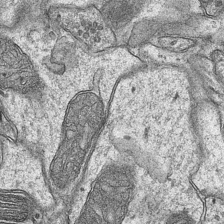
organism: Mouse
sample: CA1 Hippocampus